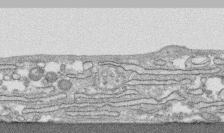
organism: Human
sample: CRL-1474